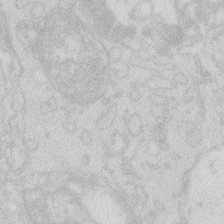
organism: Zebrafish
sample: Macrophage